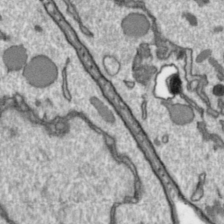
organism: Toxoplasma gondii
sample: Parasites in a vacuole inside a host cell